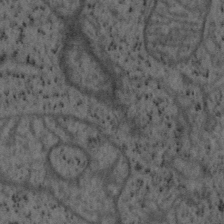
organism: Human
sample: HeLa cells